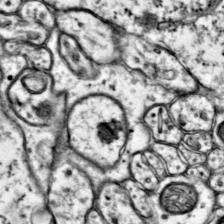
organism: Mouse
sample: Primary visual cortex